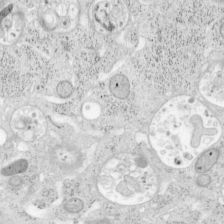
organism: Mouse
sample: OT-I killer T cells with ID8 ovarian cancer cells